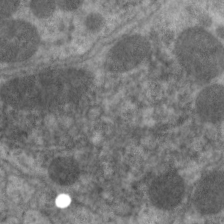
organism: C. elegans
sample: Pharynx